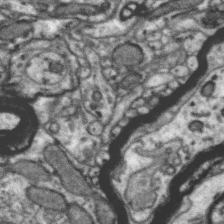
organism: Zebra finch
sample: Brain